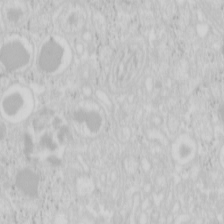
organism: Mouse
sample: Pancreas